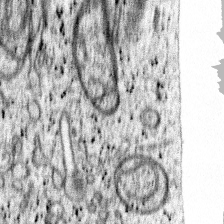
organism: Human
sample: HeLa cells